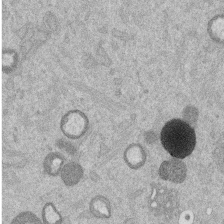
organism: Mouse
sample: Dividing mouse embryo 1 cell stage